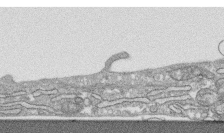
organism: Human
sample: CRL-1474